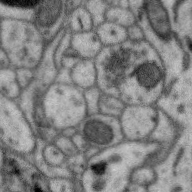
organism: Zebra finch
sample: Brain